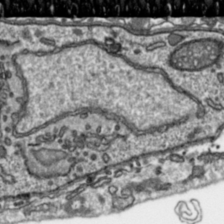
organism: Toxoplasma gondii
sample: Parasites in a vacuole inside a host cell